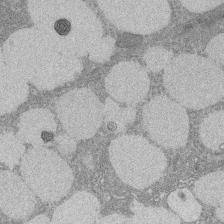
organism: Rat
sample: Salivary granule